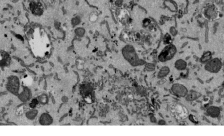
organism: Mouse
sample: ED-1 cell nuclei; centrioles